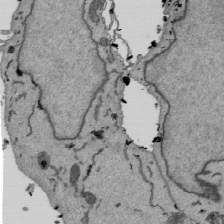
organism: Mouse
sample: ED-1 cell nuclei; centrioles